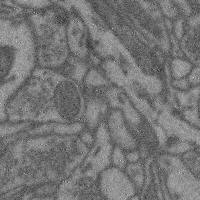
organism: Mouse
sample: Cerebral cortex